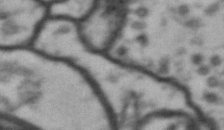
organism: Drosophila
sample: Brain